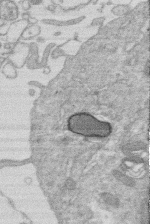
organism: Human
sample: Macrophage cells